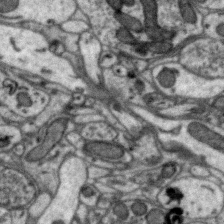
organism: Zebra finch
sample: Brain